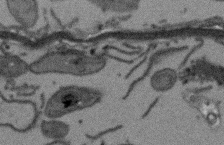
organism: Arabidopsis thaliana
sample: Root tip